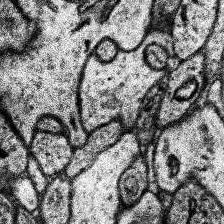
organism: Human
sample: Temporal Lobe